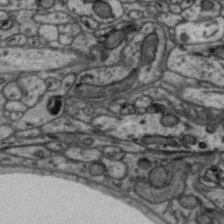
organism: Zebra finch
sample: Brain